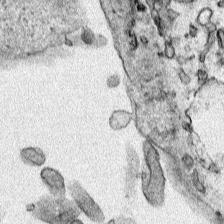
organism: Human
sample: Mitochondria in HCT116 cells